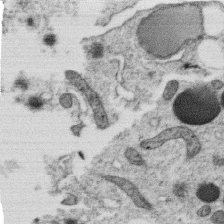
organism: C. elegans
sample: C. elegans oocyte; sperm cells